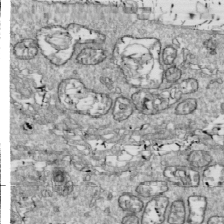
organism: Drosophila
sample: Cell division; meiosis; drosophila spermatocytes